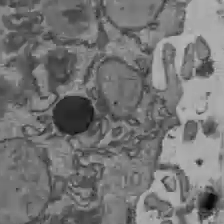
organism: C57BL Mouse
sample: Liver